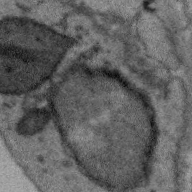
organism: Zebra finch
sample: Brain